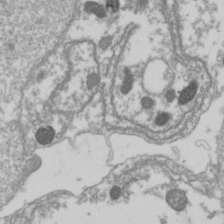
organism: Drosophila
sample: Cell division; meiosis; drosophila spermatocytes